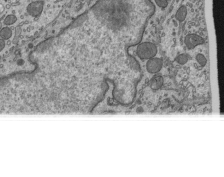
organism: Mouse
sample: Mouse epididymis efferent ductule cilia